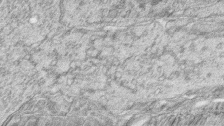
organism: Zebrafish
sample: synaptic ribbons in rod cells and cone cells